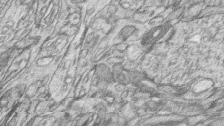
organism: Zebrafish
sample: synaptic ribbons in rod cells and cone cells